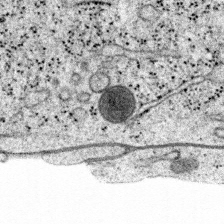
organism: Human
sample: HeLa cells